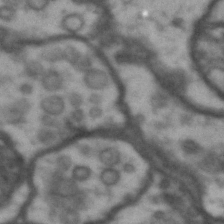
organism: Drosophila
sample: Brain